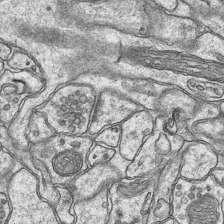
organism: Mouse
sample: CA1 Hippocampus